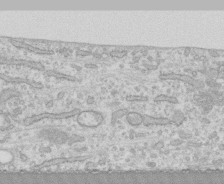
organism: Human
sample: CRL-1474